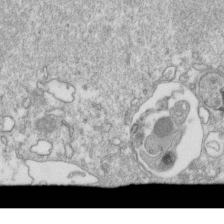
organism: Mouse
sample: Activated OT-1 CD8+ T cells